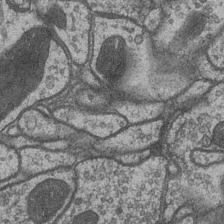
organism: Drosophila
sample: Optic medulla